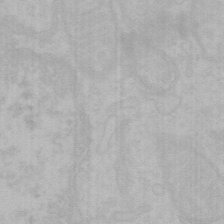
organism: Mouse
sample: Choroid plexus